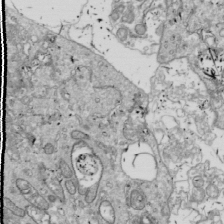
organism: Drosophila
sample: Cell division; meiosis; drosophila spermatocytes